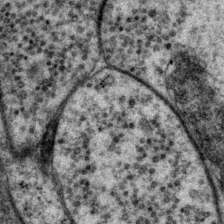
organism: P. pacificus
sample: Pharynx